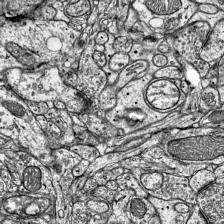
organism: Mouse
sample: Visual Cortex